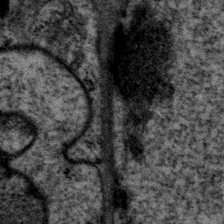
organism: P. pacificus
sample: Pharynx